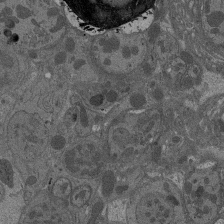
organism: Drosophila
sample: Antenna